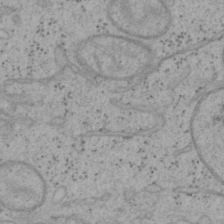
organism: Human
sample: HeLa cells